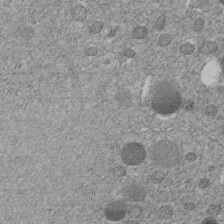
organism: C. elegans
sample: C. elegans embryo early stage